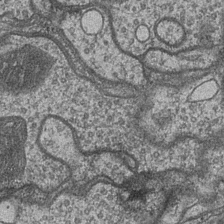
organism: Drosophila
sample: Optic medulla